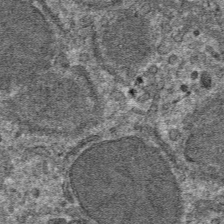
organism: Mouse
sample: Mouse hepatocytes